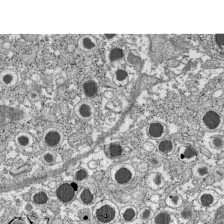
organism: C57BL Mouse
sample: Pancreatic islet